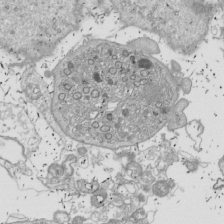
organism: Drosophila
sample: Cell division; meiosis; drosophila spermatocytes